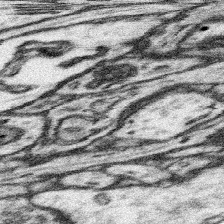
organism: Mouse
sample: Somatosensory cortex neuropil